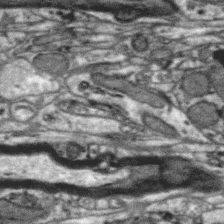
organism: Zebra finch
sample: Brain